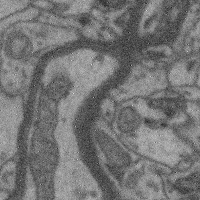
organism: Mouse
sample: Cerebral cortex